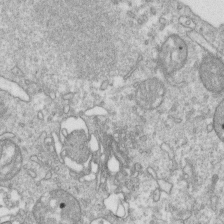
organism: Mouse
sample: Activated OT-1 CD8+ T cells